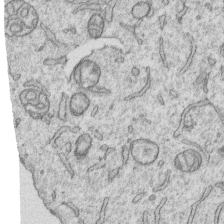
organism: Human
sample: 1205lu cells